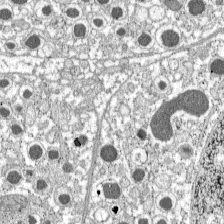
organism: C57BL Mouse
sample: Pancreatic islet